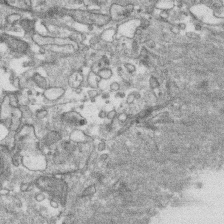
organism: Human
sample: CRL-1474